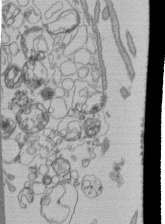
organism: Human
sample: Retinal organoid Rod and Cone cells